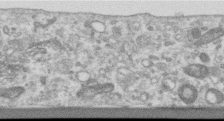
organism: Human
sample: Centriole in RPE cells